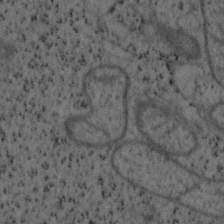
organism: Human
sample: HeLa cells